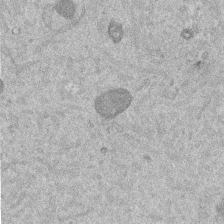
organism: Mouse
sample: Dividing mouse embryo 1 cell stage